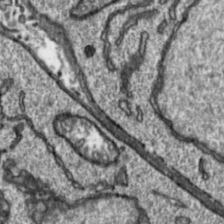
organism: Toxoplasma gondii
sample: Parasites in a vacuole inside a host cell